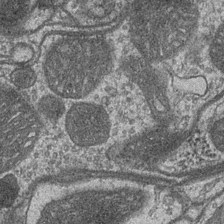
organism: Drosophila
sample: Optic medulla